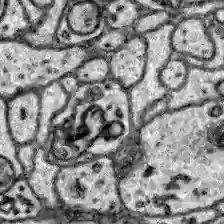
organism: Zebrafish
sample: Brain